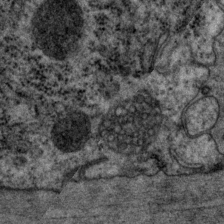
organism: P. pacificus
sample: Pharynx